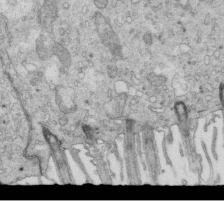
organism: Mouse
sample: Multiciliated cells